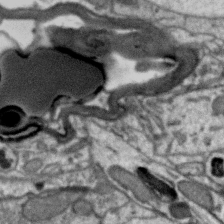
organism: Zebra finch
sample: Brain